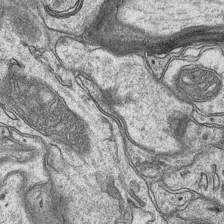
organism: Mouse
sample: CA1 Hippocampus